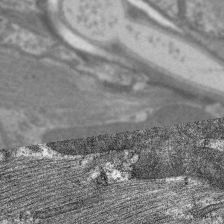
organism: C. elegans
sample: Pharynx